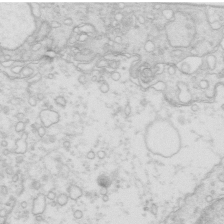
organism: Mouse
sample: Multiciliated cells